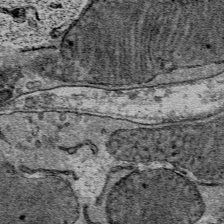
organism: Mouse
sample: Mouse Salivary gland